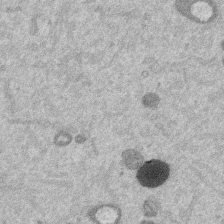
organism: Mouse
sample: Dividing mouse embryo 1 cell stage